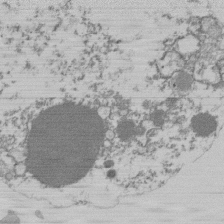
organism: Mouse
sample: Activated Pmel transgenic CD8+ T Cells